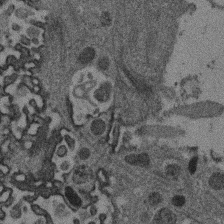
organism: Mouse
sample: Dividing mouse embryo 1 cell stage